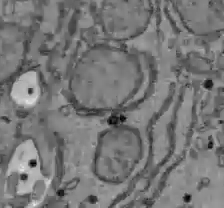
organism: C57BL Mouse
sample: Liver